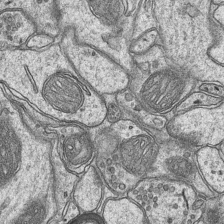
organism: Mouse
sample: CA1 Hippocampus